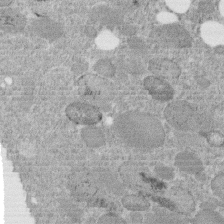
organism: C. elegans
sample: C. elegans embryo early stage